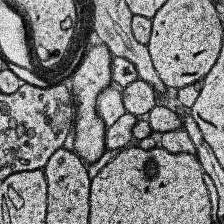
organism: Human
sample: Temporal Lobe